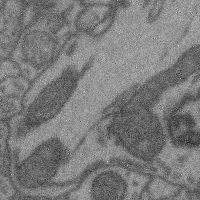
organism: Mouse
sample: Cerebral cortex